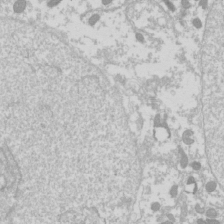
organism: Drosophila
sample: Cell division; meiosis; drosophila spermatocytes